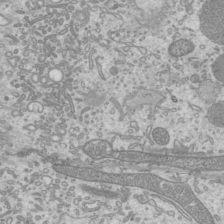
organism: Mouse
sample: Cilia; mouse epididymis